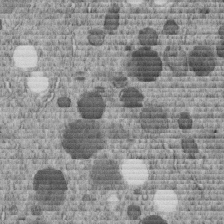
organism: C. elegans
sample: C. elegans embryo early stage